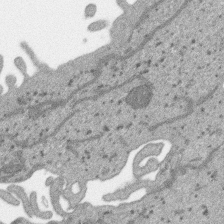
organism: Human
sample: Lung epithelial cells infected with SARS-CoV-2